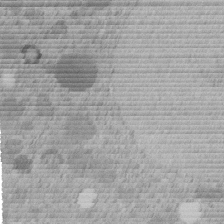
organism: C. elegans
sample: C. elegans embryo early stage